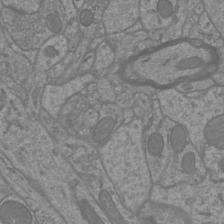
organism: Mouse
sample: Cortical neurons